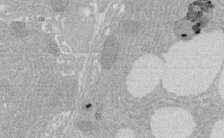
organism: Rat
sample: Salivary granule